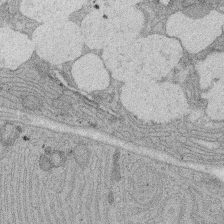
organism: Rat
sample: Salivary granule